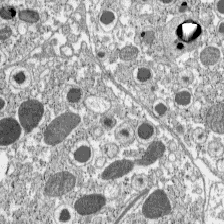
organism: C57BL Mouse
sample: Pancreatic islet